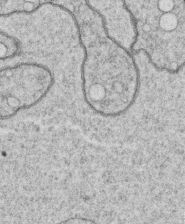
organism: C. elegans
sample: C. elegans oocyte; sperm cells